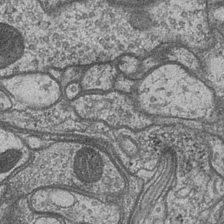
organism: Drosophila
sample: Optic medulla